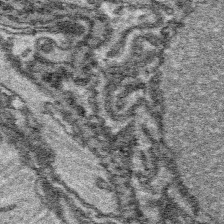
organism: Platynereis dumerilii